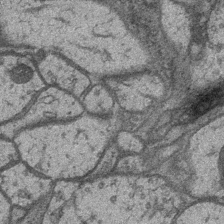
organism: Drosophila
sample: Optic medulla